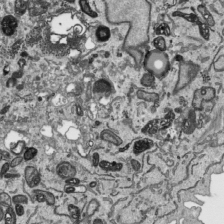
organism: Human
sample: Mitochondria in HCT116 cells